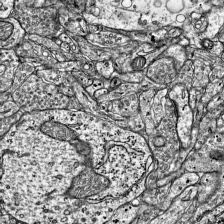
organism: Mouse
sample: Visual Cortex